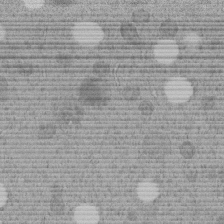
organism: C. elegans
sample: C. elegans embryo early stage